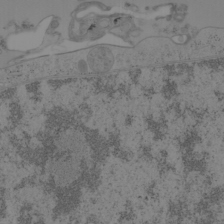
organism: Human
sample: HeLa cells